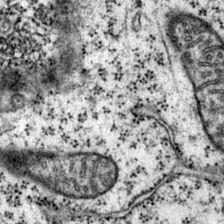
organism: Mouse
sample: Primary visual cortex